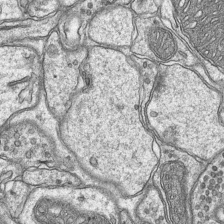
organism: Mouse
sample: CA1 Hippocampus